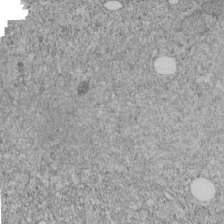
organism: C. elegans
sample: C. elegans embryo early stage